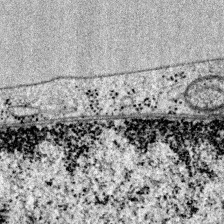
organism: Human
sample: HeLa cells